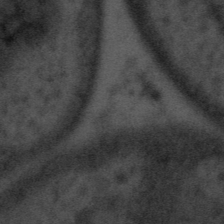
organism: Tuwongella immobilis